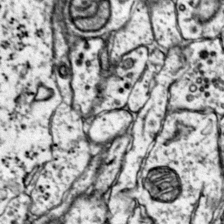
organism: Mouse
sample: Primary visual cortex